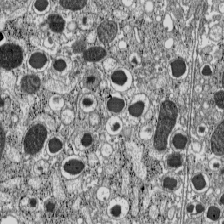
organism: C57BL Mouse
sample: Pancreatic islet